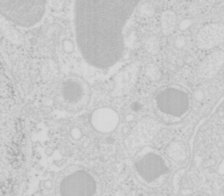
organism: Mouse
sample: Pancreas